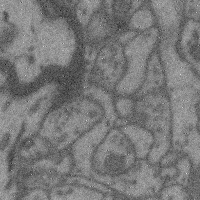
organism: Mouse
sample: Cerebral cortex